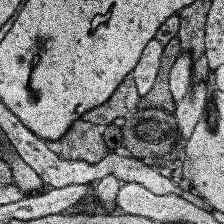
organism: Human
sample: Temporal Lobe